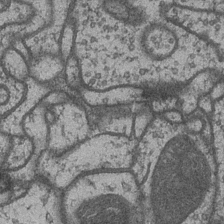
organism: Drosophila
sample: Optic medulla